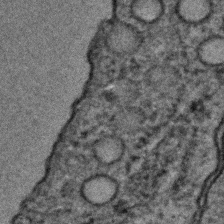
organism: C. elegans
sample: C. elegans embryo